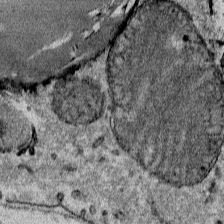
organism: Mouse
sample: Mouse Salivary gland